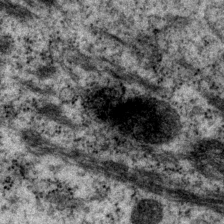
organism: P. pacificus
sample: Pharynx